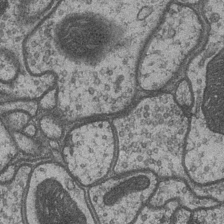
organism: Drosophila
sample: Optic medulla